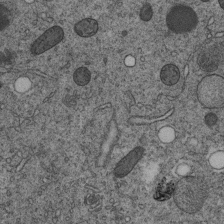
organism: C. elegans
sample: C. elegans embryo early stage